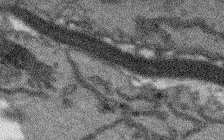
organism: Arabidopsis thaliana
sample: Root tip